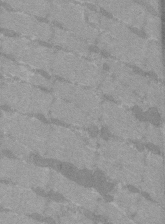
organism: C57BL Mouse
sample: Tibialis anterior muscle cell